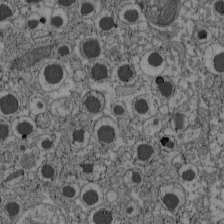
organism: C57BL Mouse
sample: Pancreatic islet